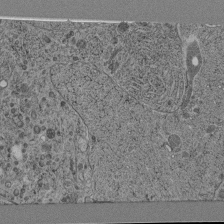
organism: C. elegans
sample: C. elegans pharynx